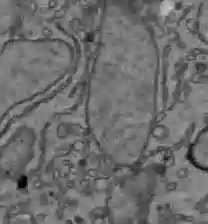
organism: C57BL Mouse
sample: Liver